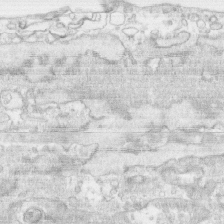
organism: Human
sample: CRL-1474